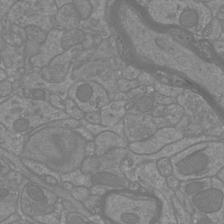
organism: Mouse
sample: Cortical neurons